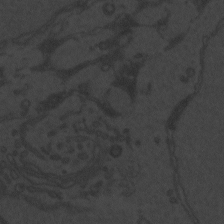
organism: Zebrafish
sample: Macrophage infected with Toxoplasma gondii